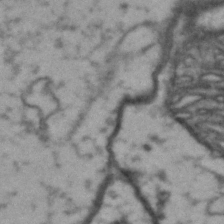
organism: Drosophila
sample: Brain